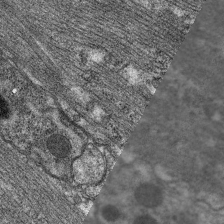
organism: C. elegans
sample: Pharynx